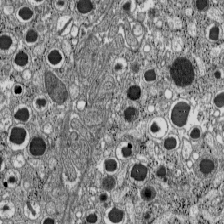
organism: C57BL Mouse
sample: Pancreatic islet